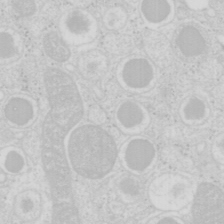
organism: Mouse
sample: Pancreas